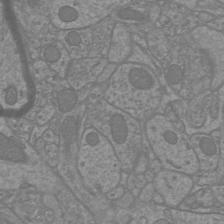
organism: Mouse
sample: Cortical neurons